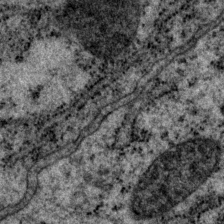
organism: P. pacificus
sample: Pharynx